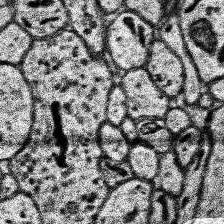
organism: Human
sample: Temporal Lobe